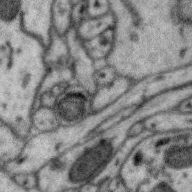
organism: Zebra finch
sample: Brain